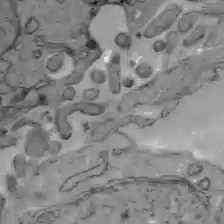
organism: C57BL Mouse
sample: Liver